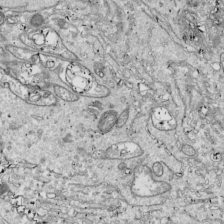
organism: Drosophila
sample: Cell division; meiosis; drosophila spermatocytes